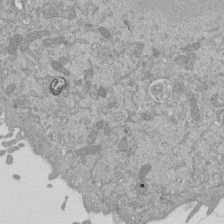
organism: Mouse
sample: ED-1 cell nuclei; centrioles